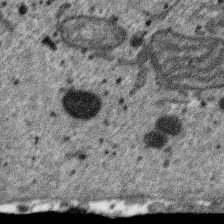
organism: Human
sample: Lung epithelial cells infected with SARS-CoV-2